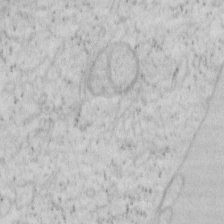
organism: Human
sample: HeLa cells